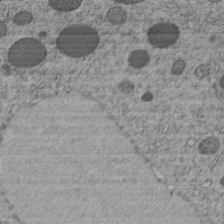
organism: C. elegans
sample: C. elegans embryo early stage